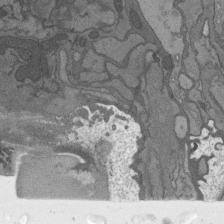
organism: C. elegans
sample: AFD neurons C. elegans